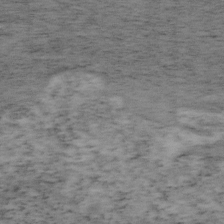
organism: Mouse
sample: OT-I killer T cells with ID8 ovarian cancer cells